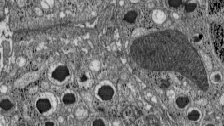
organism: C57BL Mouse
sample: Pancreatic islet